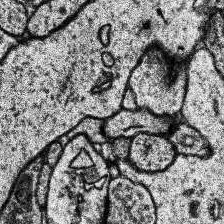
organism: Human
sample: Temporal Lobe